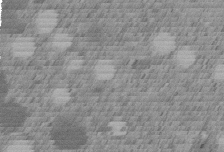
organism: C. elegans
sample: C. elegans embryo early stage